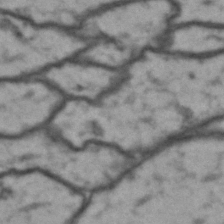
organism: Drosophila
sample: Brain